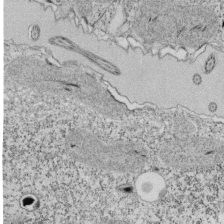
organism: Tetrahymena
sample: Cilia in tetrahymena